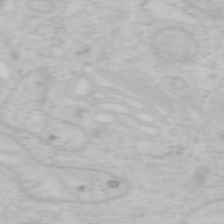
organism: Mouse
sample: OT-I killer T cells with ID8 ovarian cancer cells